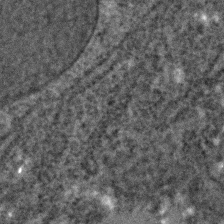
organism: C. elegans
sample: C. elegans embryo